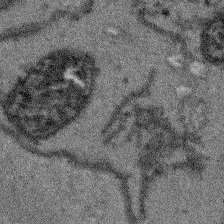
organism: Arabidopsis thaliana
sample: Root tip